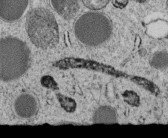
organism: C. elegans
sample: C. elegans embryo early stage